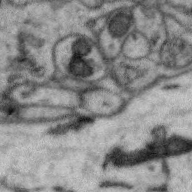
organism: Zebra finch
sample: Brain